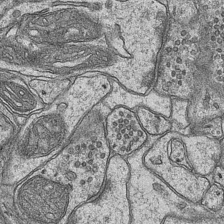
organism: Mouse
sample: CA1 Hippocampus